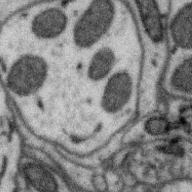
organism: Zebra finch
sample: Brain